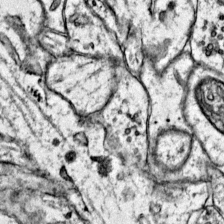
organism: Mouse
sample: Primary visual cortex